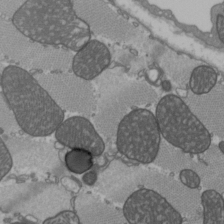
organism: C57BL Mouse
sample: Heart